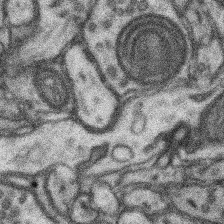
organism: Mouse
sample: Somatosensory cortex neuropil